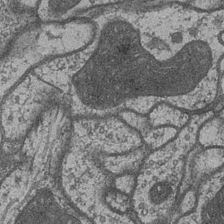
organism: Drosophila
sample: Optic medulla